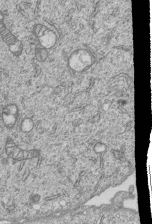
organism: Human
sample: MDA-MB-231 cells